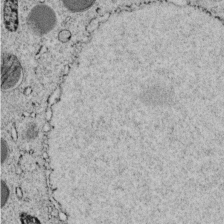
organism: C. elegans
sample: C. elegans embryo early stage